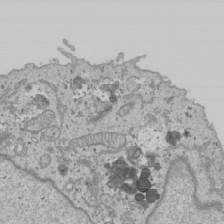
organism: Human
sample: Mitochondria in U2OS cells